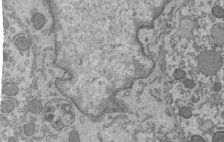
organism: Mouse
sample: Mouse epididymis efferent ductule cilia